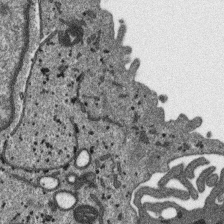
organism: Human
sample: Lung epithelial cells infected with SARS-CoV-2